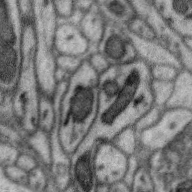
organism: Zebra finch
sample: Brain